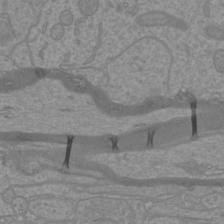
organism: Mouse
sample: Cortical neurons